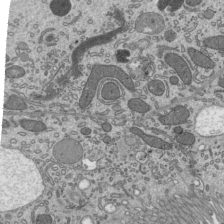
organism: Mouse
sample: Mouse epididymis efferent ductule cilia